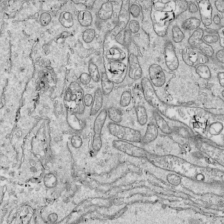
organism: Drosophila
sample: Cell division; meiosis; drosophila spermatocytes